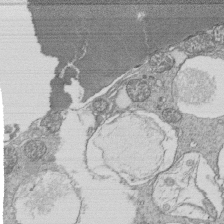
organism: Tetrahymena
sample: Cilia in tetrahymena